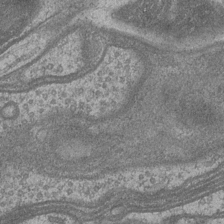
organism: Drosophila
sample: Optic medulla